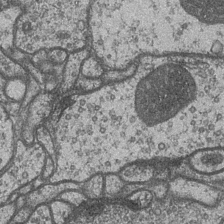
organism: Drosophila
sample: Optic medulla